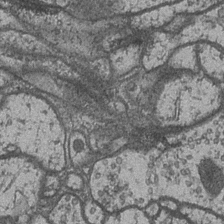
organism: Drosophila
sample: Optic medulla